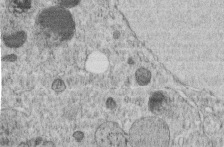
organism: C. elegans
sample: C. elegans embryo early stage